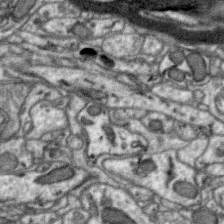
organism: Zebra finch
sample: Brain